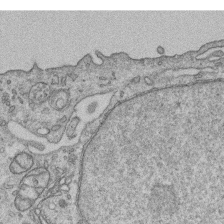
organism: Human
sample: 1205lu cells